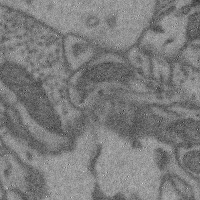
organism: Mouse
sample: Cerebral cortex